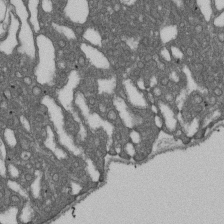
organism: Drosophila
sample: Nephrocyte